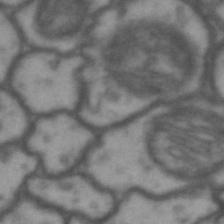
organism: Drosophila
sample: Brain